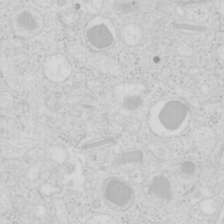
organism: Mouse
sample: Pancreas